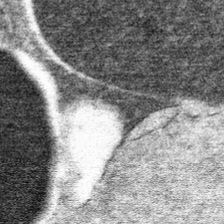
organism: Mouse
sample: Mouse hepatocytes